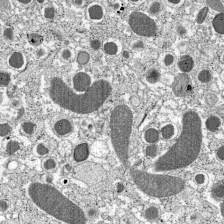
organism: C57BL Mouse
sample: Pancreatic islet